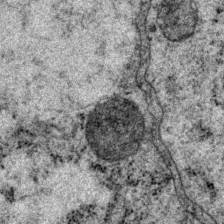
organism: P. pacificus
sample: Pharynx